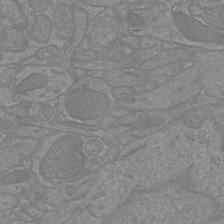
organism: Mouse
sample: Cortical neurons